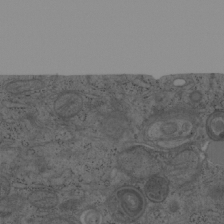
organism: Human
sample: HeLa cells